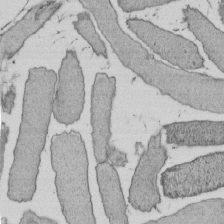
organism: E. coli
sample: Bacterial nucleoid